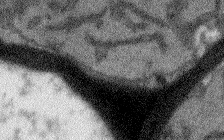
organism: Arabidopsis thaliana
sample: Root tip